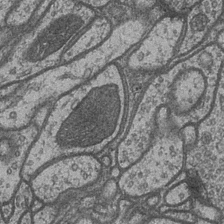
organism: Drosophila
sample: Optic medulla